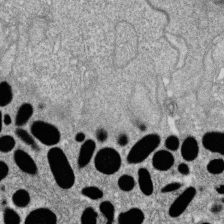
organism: Zebrafish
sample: Cilia; retinal pigment epithelium